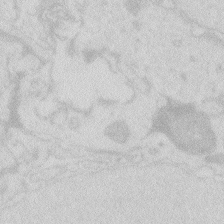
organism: Zebrafish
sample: Macrophage